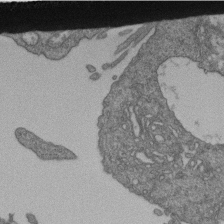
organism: Human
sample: Retinal organoid Rod and Cone cells